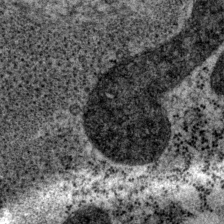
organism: P. pacificus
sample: Pharynx